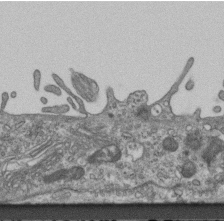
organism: Mouse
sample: Centriole in ependymal cells